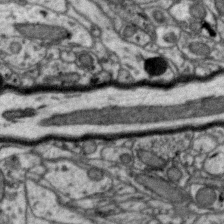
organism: Zebra finch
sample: Brain